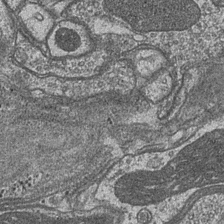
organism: Drosophila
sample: Optic medulla